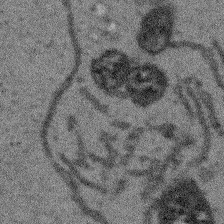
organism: Arabidopsis thaliana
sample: Root tip